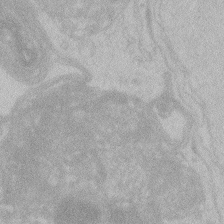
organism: Zebrafish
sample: Macrophage infected with Toxoplasma gondii